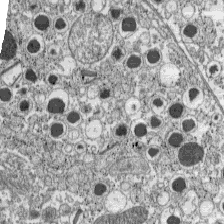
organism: C57BL Mouse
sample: Pancreatic islet